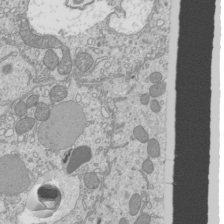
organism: Mouse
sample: Cilia; mouse epididymis